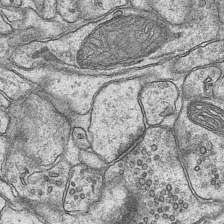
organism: Mouse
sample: CA1 Hippocampus